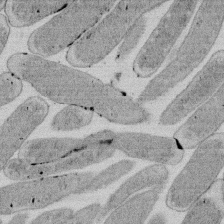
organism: E. coli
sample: Bacterial nucleoid